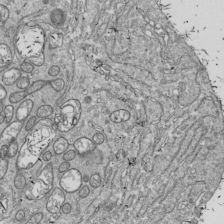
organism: Drosophila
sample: Cell division; meiosis; drosophila spermatocytes